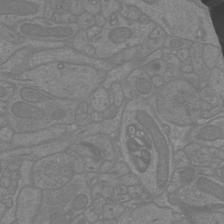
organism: Mouse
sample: Cortical neurons